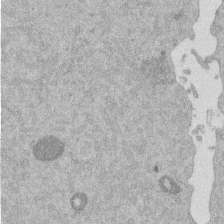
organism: Mouse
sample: Dividing mouse embryo 1 cell stage